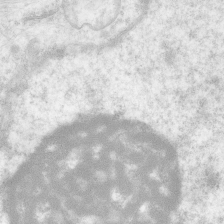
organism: Human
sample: Neocortex